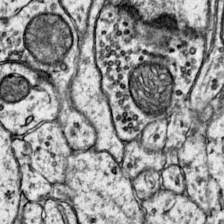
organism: Mouse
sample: Primary visual cortex